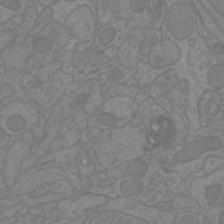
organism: Mouse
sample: Cortical neurons